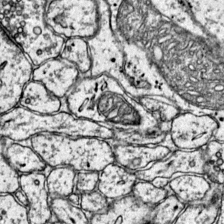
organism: Mouse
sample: Primary visual cortex